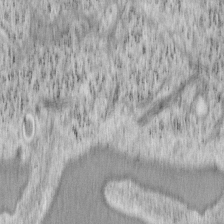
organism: Human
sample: HeLa cells